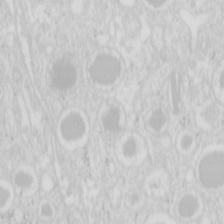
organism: Mouse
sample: Pancreas